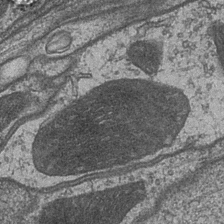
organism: Drosophila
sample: Optic medulla